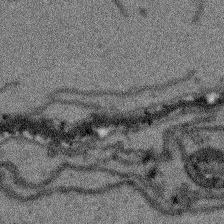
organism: Arabidopsis thaliana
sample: Root tip